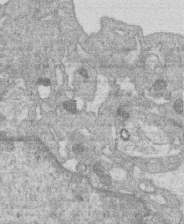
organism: Human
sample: Macrophage cells